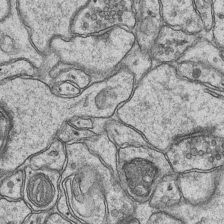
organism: Mouse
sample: CA1 Hippocampus